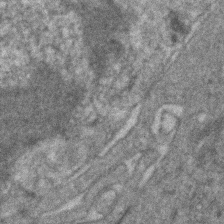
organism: Human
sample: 1205lu cells